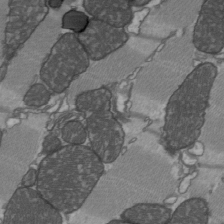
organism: C57BL Mouse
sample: Heart